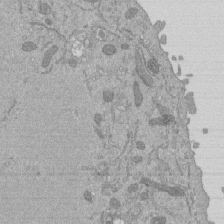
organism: Mouse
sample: ED-1 cell nuclei; centrioles